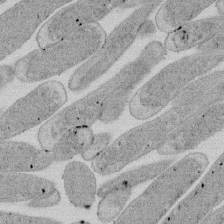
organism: E. coli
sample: Bacterial nucleoid